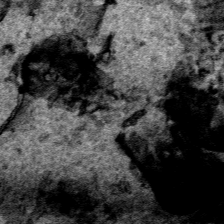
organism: Human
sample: Mitochondria in HCT116 cells